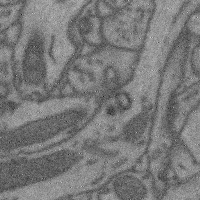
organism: Mouse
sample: Cerebral cortex